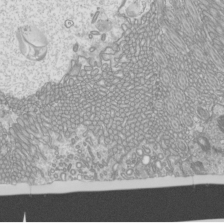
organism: Mouse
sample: Cilia; mouse epididymis